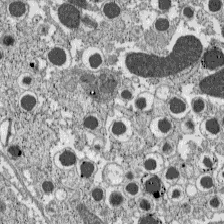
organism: C57BL Mouse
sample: Pancreatic islet